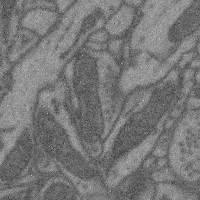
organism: Mouse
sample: Cerebral cortex